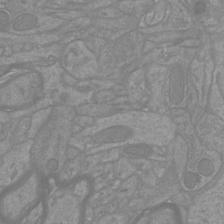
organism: Mouse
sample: Cortical neurons